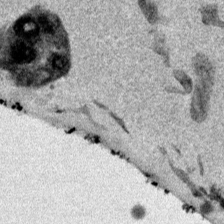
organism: Mouse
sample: Cancer cell death in ED-1 cells